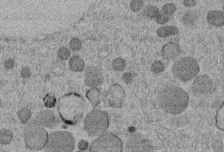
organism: C. elegans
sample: C. elegans embryo early stage